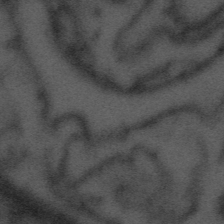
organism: Tuwongella immobilis